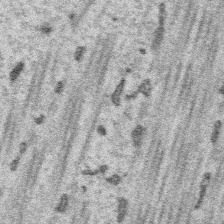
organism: Platynereis dumerilii